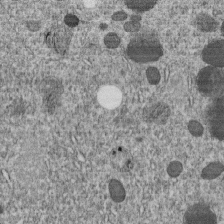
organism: C. elegans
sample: C. elegans embryo early stage